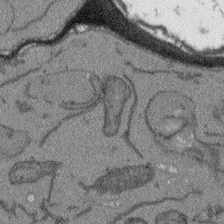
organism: Arabidopsis thaliana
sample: Root tip